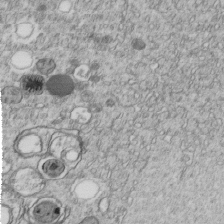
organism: C. elegans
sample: C. elegans embryo early stage